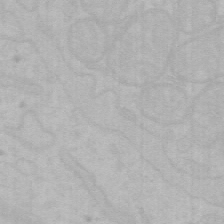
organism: Mouse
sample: Choroid plexus